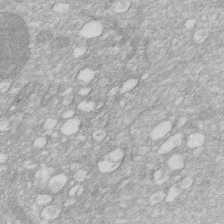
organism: Human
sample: HIV infected U937 cells